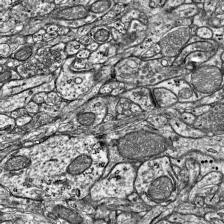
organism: Mouse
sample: Visual Cortex